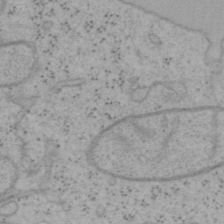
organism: Human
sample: HeLa cells